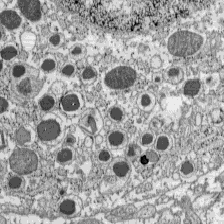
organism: C57BL Mouse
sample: Pancreatic islet